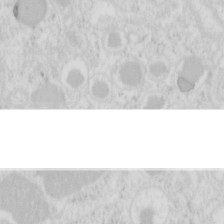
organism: Mouse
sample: Pancreas